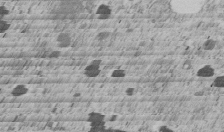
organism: C. elegans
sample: C. elegans embryo early stage